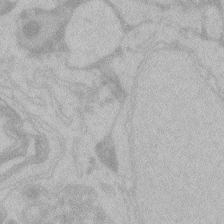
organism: Zebrafish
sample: Macrophage infected with Toxoplasma gondii